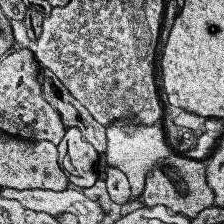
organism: Human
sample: Temporal Lobe